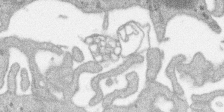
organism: Human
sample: Lung epithelial cells infected with SARS-CoV-2